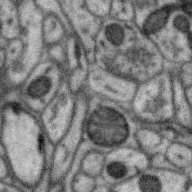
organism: Zebra finch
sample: Brain